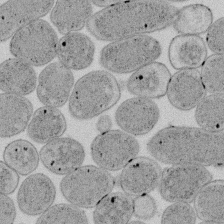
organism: E. coli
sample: Bacterial nucleoid